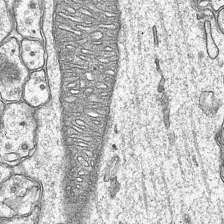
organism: Mouse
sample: CA1 Hippocampus